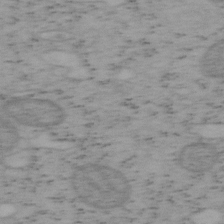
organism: Mouse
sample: OT-I killer T cells with ID8 ovarian cancer cells